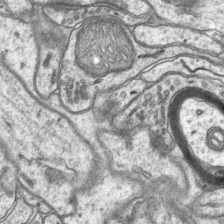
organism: Mouse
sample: CA1 Hippocampus